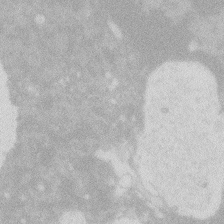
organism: Zebrafish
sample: Macrophage